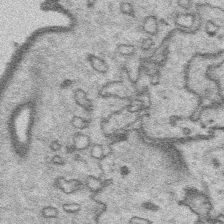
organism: Platynereis dumerilii